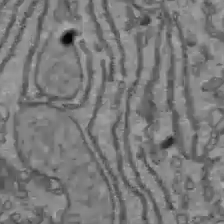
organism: C57BL Mouse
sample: Liver